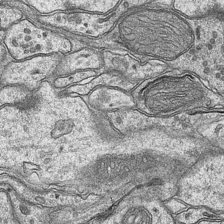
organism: Mouse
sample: CA1 Hippocampus